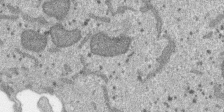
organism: Human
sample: Lung epithelial cells infected with SARS-CoV-2